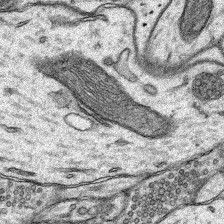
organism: Rat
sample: Hippocampus